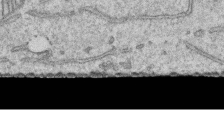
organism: Human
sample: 1205lu cells